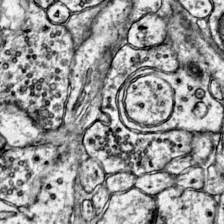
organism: Mouse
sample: Primary visual cortex